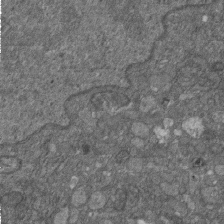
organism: Drosophila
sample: Nephrocyte